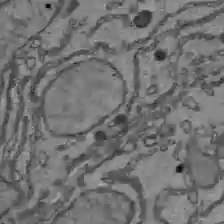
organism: C57BL Mouse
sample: Liver